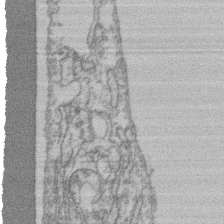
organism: Mouse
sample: T cell stromal cell synapse